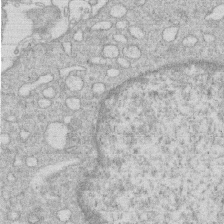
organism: Human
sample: Macrophage cells